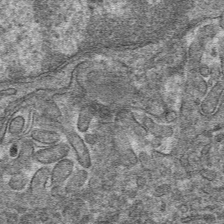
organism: Mouse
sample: Mouse hepatocytes